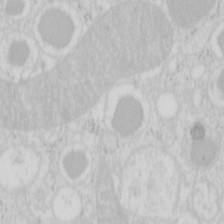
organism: Mouse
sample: Pancreas